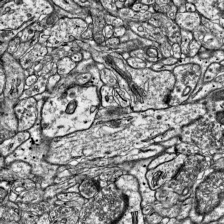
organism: Mouse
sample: Visual Cortex